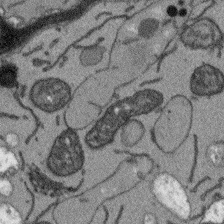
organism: Arabidopsis thaliana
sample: Root tip